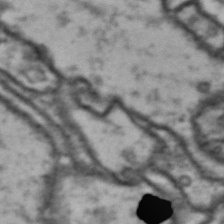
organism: Drosophila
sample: Brain